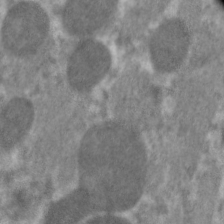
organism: C. elegans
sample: Pharynx